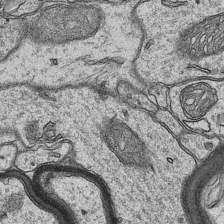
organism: Mouse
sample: CA1 Hippocampus